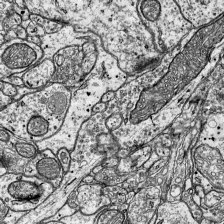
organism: Mouse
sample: Visual Cortex